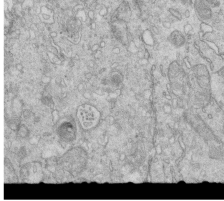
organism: Mouse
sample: Multiciliated cells